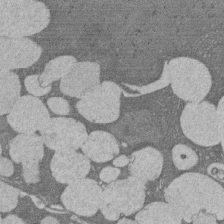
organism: Rat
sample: Salivary granule